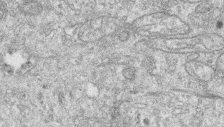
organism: Human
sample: HeLa cell HIV synapse